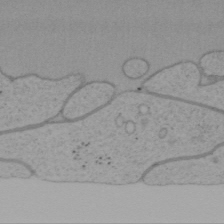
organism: Human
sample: HeLa cells